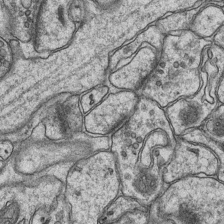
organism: Mouse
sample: CA1 Hippocampus